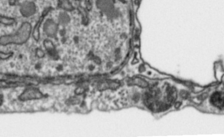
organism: Toxoplasma gondii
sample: Parasites in a vacuole inside a host cell